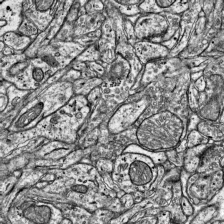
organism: Mouse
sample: Visual Cortex